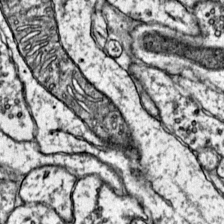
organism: Mouse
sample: Primary visual cortex